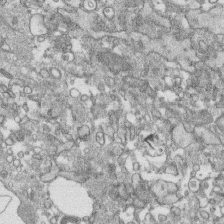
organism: Human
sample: CRL-1474